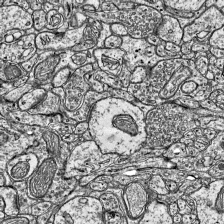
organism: Mouse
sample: Visual Cortex